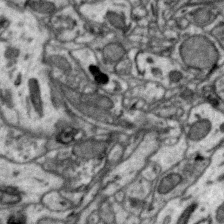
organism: Zebra finch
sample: Brain